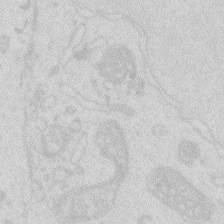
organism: Zebrafish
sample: Macrophage